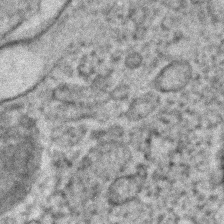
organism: C. elegans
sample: C. elegans embryo